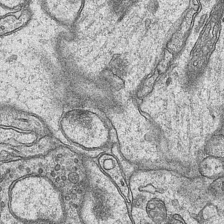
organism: Mouse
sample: CA1 Hippocampus